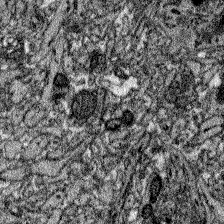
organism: Zebrafish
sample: Larval olfactory bulb